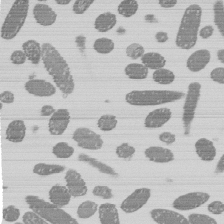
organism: E. coli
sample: Bacterial nucleoid